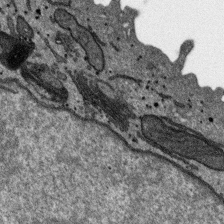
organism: Human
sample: Lung epithelial cells, uninfected (mock) control